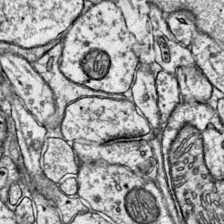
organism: Mouse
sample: Primary visual cortex